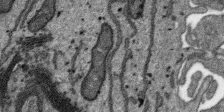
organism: Human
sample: Lung epithelial cells, uninfected (mock) control